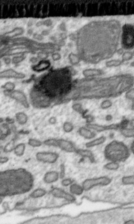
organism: Toxoplasma gondii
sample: Parasites in a vacuole inside a host cell